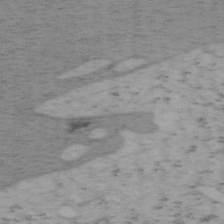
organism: Mouse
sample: OT-I killer T cells with ID8 ovarian cancer cells